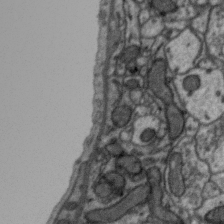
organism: Zebra finch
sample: Brain